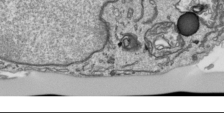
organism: Human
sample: Mitochondria in HCT116 cells